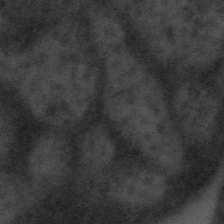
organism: Tuwongella immobilis